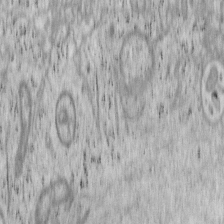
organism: Human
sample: HeLa cells